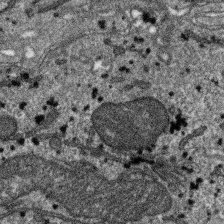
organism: Human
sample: Lung epithelial cells infected with SARS-CoV-2